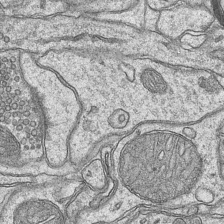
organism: Mouse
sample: CA1 Hippocampus